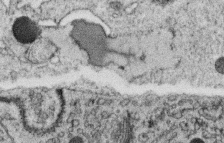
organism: C. elegans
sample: C. elegans oocyte; sperm cells